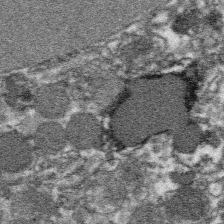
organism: Platynereis dumerilii